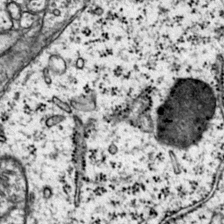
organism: Mouse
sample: Primary visual cortex